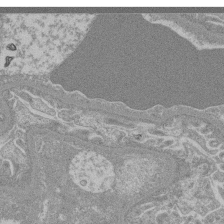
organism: Mouse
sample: Glomerulus